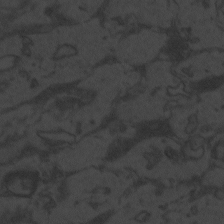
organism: Zebrafish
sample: Macrophage infected with Toxoplasma gondii